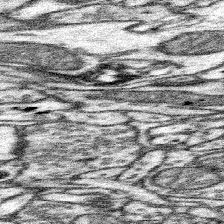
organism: Mouse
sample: Somatosensory cortex neuropil